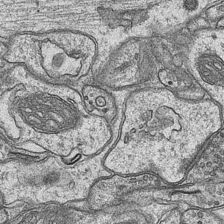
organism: Mouse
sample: CA1 Hippocampus